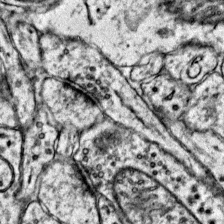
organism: Mouse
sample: Primary visual cortex